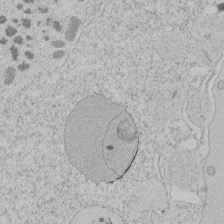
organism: Tetrahymena